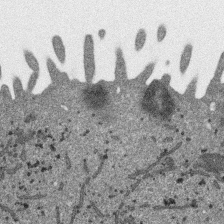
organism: Human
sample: Lung epithelial cells infected with SARS-CoV-2